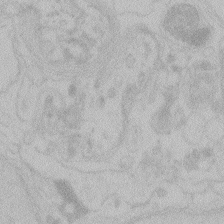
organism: Zebrafish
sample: Macrophage infected with Toxoplasma gondii